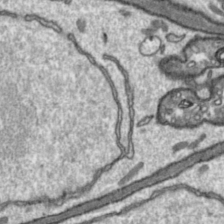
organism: Toxoplasma gondii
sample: Parasites in a vacuole inside a host cell